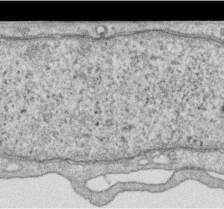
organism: Human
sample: Centriole in RPE cells